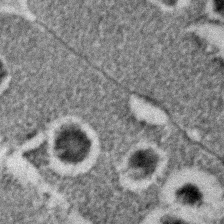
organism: C. elegans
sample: C. elegans embryo